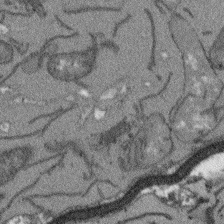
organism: Arabidopsis thaliana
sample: Root tip